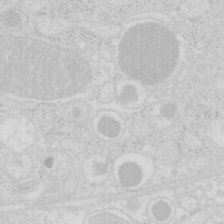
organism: Mouse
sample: Pancreas